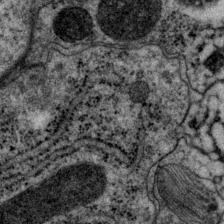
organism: P. pacificus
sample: Pharynx